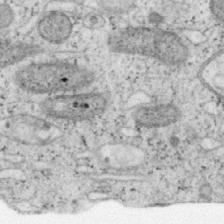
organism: Mouse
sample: OT-I killer T cells with ID8 ovarian cancer cells